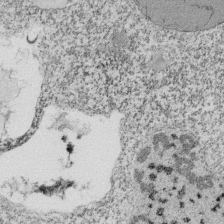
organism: Tetrahymena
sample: Cilia in tetrahymena